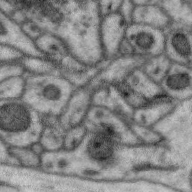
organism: Zebra finch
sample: Brain